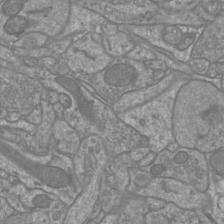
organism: Mouse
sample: Cortical neurons